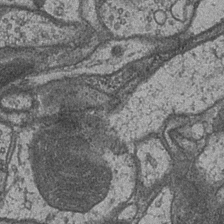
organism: Drosophila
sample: Optic medulla